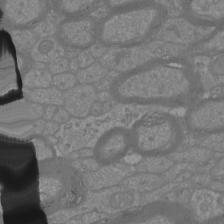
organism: Mouse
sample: Cortical neurons